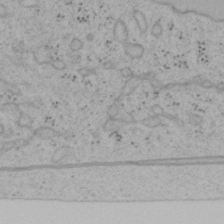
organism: Human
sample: HeLa cells